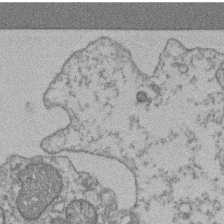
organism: Mouse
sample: T cell stromal cell synapse